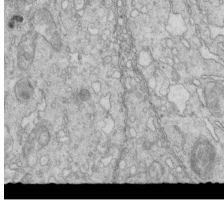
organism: Mouse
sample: Multiciliated cells